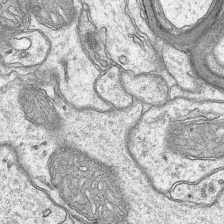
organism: Mouse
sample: CA1 Hippocampus